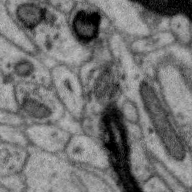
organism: Zebra finch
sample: Brain